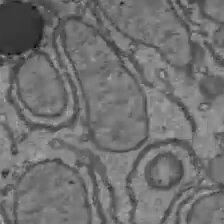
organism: C57BL Mouse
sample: Liver